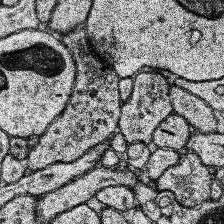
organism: Human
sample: Temporal Lobe